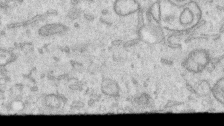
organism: Human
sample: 1205lu cells